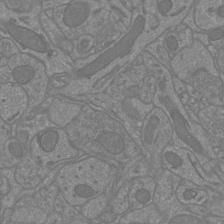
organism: Mouse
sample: Cortical neurons